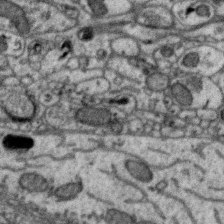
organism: Zebra finch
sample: Brain